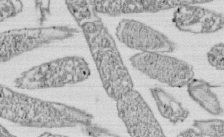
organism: E. coli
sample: Bacterial nucleoid